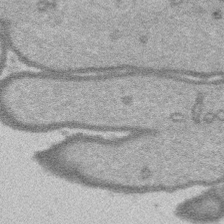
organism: Platynereis dumerilii